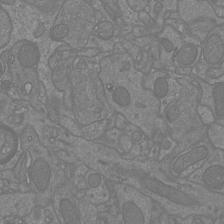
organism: Mouse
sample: Cortical neurons